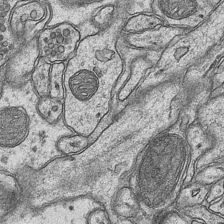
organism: Mouse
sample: CA1 Hippocampus